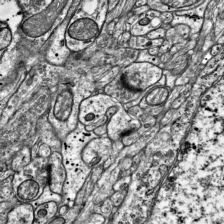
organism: Mouse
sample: Visual Cortex